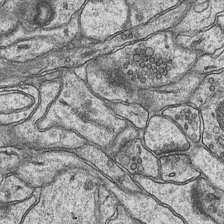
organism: Mouse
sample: CA1 Hippocampus